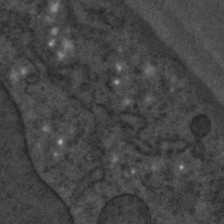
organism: C. elegans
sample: C. elegans embryo